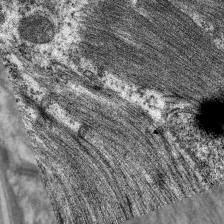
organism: C. elegans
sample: Pharynx